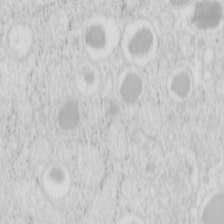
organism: Mouse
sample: Pancreas